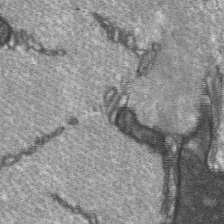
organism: C57BL Mouse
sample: Soleus